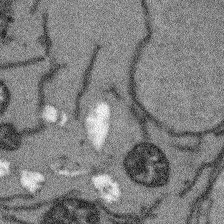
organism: Arabidopsis thaliana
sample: Root tip